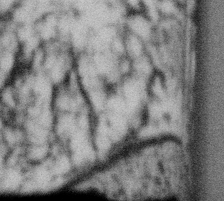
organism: Gemmata obscuriglobus